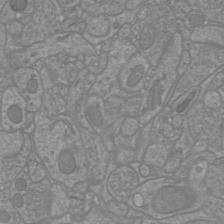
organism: Mouse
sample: Cortical neurons